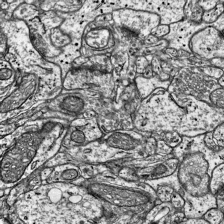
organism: Mouse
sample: Visual Cortex